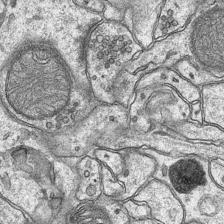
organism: Mouse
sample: CA1 Hippocampus